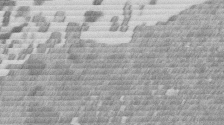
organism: Mouse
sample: Dividing mouse embryo 1 cell stage